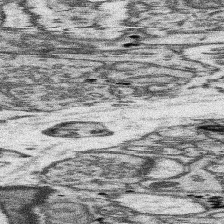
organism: Mouse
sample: Somatosensory cortex neuropil